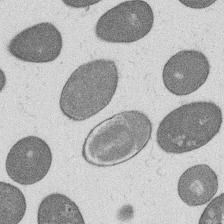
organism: B. subtilis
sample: Bacterial spore